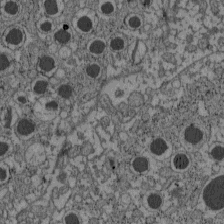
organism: C57BL Mouse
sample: Pancreatic islet